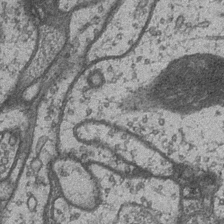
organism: Drosophila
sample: Optic medulla